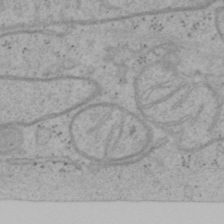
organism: Human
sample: HeLa cells